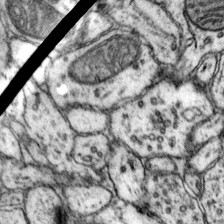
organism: Mouse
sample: Primary visual cortex